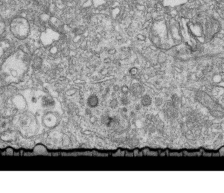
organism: Human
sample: HeLa cell HIV synapse